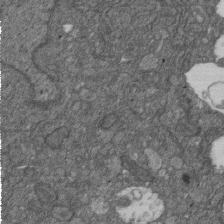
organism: Drosophila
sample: Nephrocyte